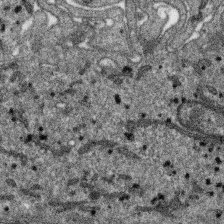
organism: Human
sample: Lung epithelial cells infected with SARS-CoV-2